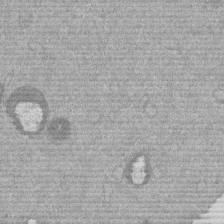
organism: Mouse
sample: Dividing mouse embryo 1 cell stage